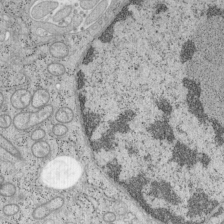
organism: Mouse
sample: OT-I killer T cells with ID8 ovarian cancer cells